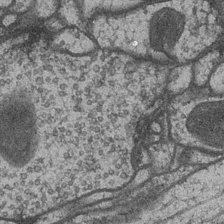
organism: Drosophila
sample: Optic medulla